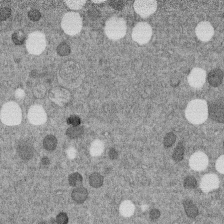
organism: C. elegans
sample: C. elegans embryo early stage